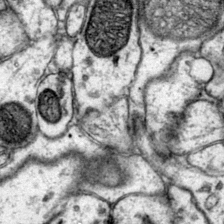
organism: Mouse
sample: Primary visual cortex